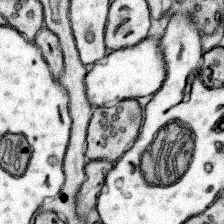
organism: Mouse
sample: Somatosensory cortex neuropil